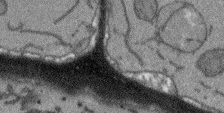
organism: Arabidopsis thaliana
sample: Root tip